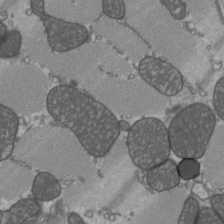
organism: C57BL Mouse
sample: Heart